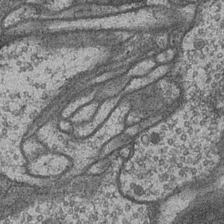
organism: Drosophila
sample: Optic medulla